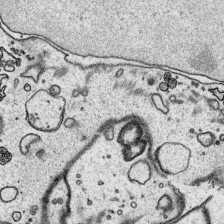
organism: Platynereis dumerilii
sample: Parapodia